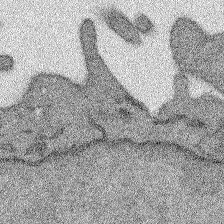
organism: Human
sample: HeLa cells